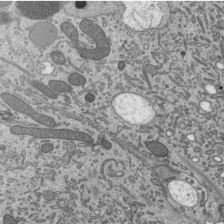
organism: Mouse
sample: Mouse epididymis efferent ductule cilia